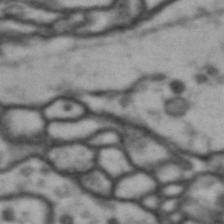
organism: Drosophila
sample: Brain